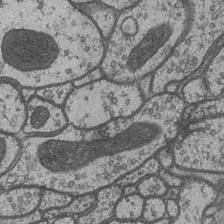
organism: Drosophila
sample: Optic medulla